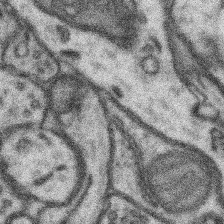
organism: Mouse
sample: Somatosensory cortex neuropil